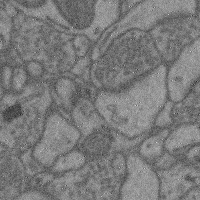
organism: Mouse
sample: Cerebral cortex